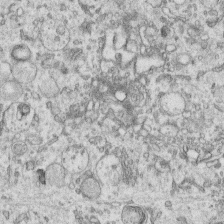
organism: Human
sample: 1205lu cells